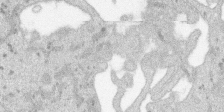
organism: Human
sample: Lung epithelial cells infected with SARS-CoV-2